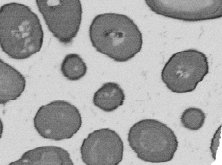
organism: B. subtilis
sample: Bacterial spore